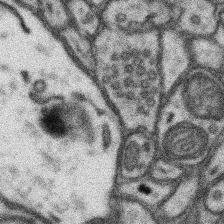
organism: Mouse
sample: Somatosensory cortex neuropil